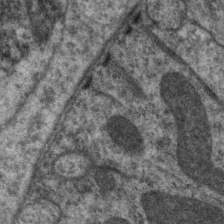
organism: C. elegans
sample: Pharynx